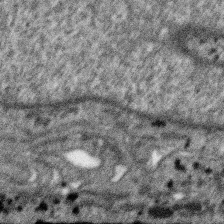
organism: Human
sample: Lung epithelial cells infected with SARS-CoV-2